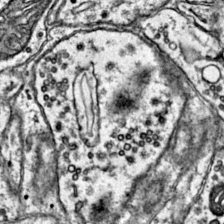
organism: Mouse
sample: Primary visual cortex